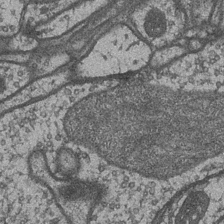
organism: Drosophila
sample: Optic medulla